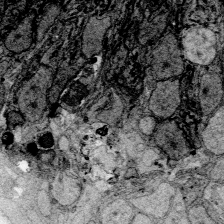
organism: Zebrafish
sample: Whole-Brain